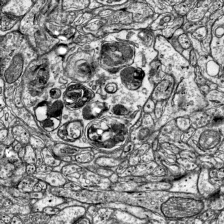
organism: Mouse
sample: Visual Cortex